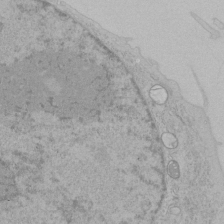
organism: Human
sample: Mitochondria in HCT116 cells